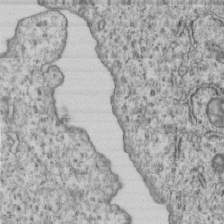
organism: Human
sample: MDA-MB-231 cells